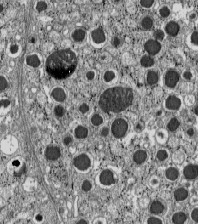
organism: C57BL Mouse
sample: Pancreatic islet